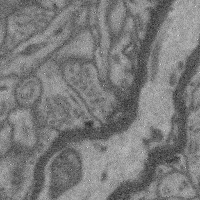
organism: Mouse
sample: Cerebral cortex